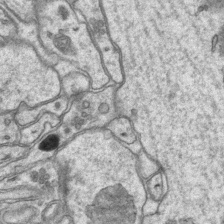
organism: Mouse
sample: CA1 Hippocampus